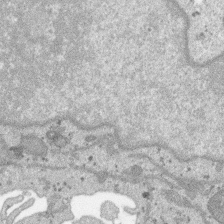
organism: Human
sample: Lung epithelial cells infected with SARS-CoV-2